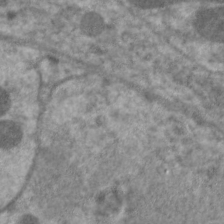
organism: C. elegans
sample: Pharynx